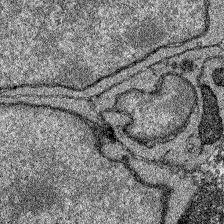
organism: Zebrafish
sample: Larval olfactory bulb